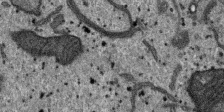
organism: Human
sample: Lung epithelial cells, uninfected (mock) control